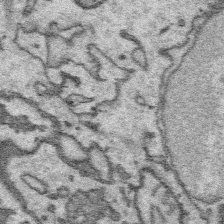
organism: Platynereis dumerilii